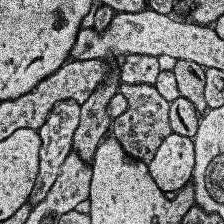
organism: Human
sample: Temporal Lobe